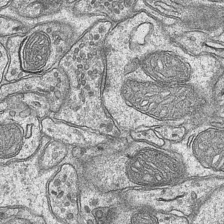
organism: Mouse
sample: CA1 Hippocampus